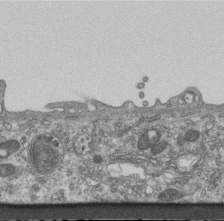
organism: Mouse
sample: Centriole in ependymal cells